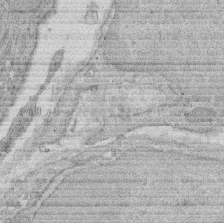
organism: Rat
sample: Salivary granule